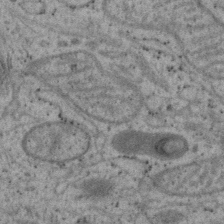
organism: Human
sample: HeLa cells